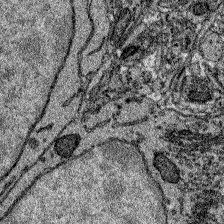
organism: Zebrafish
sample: Larval olfactory bulb